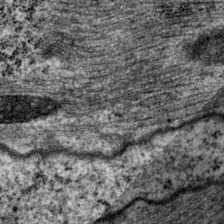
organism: P. pacificus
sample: Pharynx